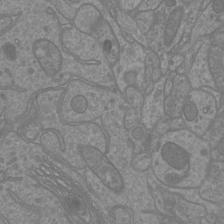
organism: Mouse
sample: Cortical neurons